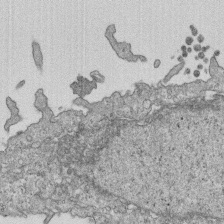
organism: Human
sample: HeLa cell HIV synapse